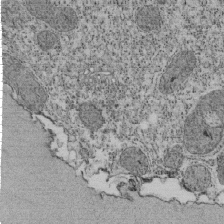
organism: Tetrahymena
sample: Cilia in tetrahymena